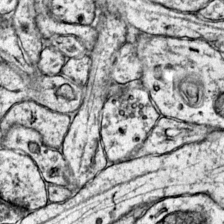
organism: Mouse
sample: Primary visual cortex